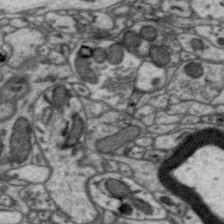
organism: Zebra finch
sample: Brain